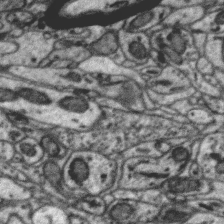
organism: Zebra finch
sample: Brain